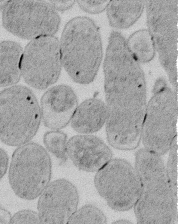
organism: E. coli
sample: Bacterial nucleoid